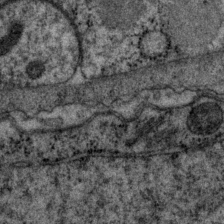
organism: P. pacificus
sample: Pharynx